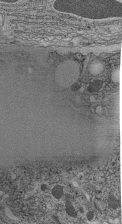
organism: C. elegans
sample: C. elegans pharynx